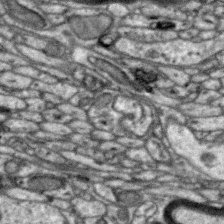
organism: Zebra finch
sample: Brain